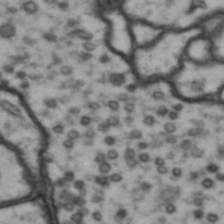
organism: Drosophila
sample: Brain